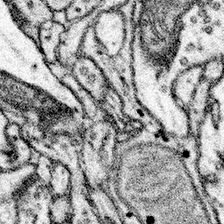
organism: Mouse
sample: Somatosensory cortex neuropil